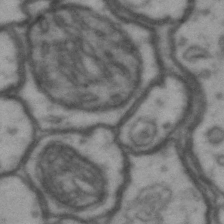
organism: Drosophila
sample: Brain